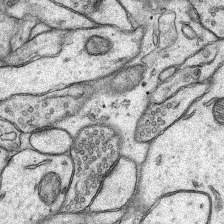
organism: Rat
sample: Hippocampus